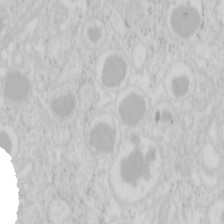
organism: Mouse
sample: Pancreas